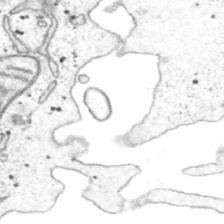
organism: Human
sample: HeLa cells